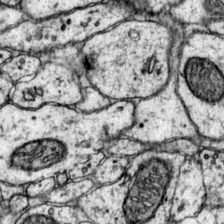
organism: Mouse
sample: Primary visual cortex